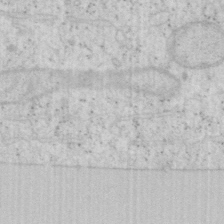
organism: Human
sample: HeLa cells